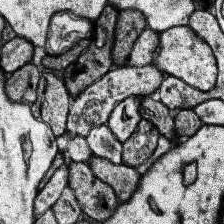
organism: Human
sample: Temporal Lobe